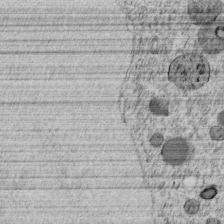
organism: C. elegans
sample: C. elegans embryo early stage